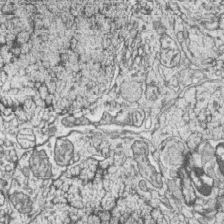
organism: Zebrafish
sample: synaptic ribbons in rod cells and cone cells